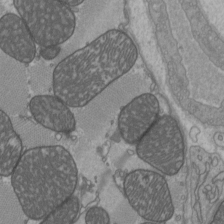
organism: C57BL Mouse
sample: Heart